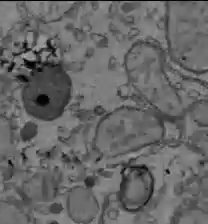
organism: C57BL Mouse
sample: Liver